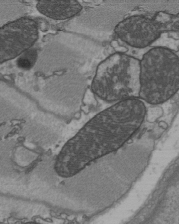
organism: C57BL Mouse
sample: Heart